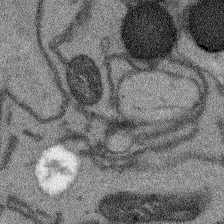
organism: Arabidopsis thaliana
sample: Root tip